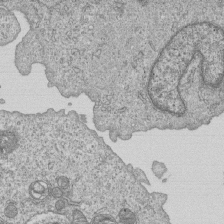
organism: Human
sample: MDA-MB-231 cells